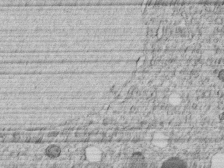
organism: C. elegans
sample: C. elegans embryo early stage